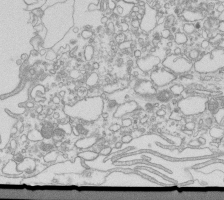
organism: Mouse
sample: Macrophages